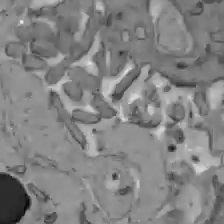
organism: C57BL Mouse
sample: Liver